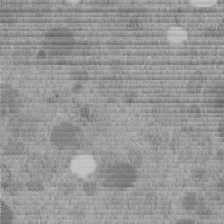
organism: C. elegans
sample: C. elegans embryo early stage